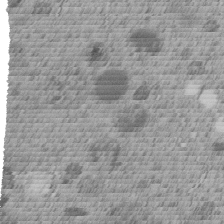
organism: C. elegans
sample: C. elegans embryo early stage